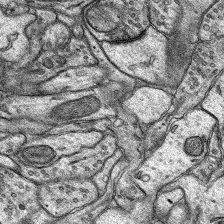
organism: Rat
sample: Hippocampus